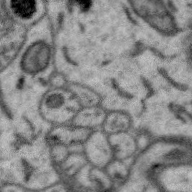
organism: Zebra finch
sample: Brain